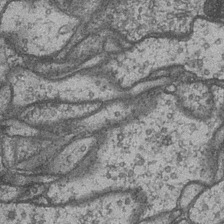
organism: Drosophila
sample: Optic medulla